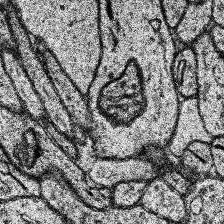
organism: Human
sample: Temporal Lobe